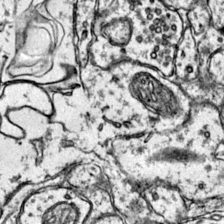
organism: Mouse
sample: Primary visual cortex